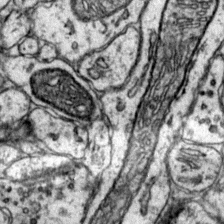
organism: Mouse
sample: Primary visual cortex